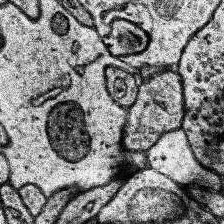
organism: Human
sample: Temporal Lobe